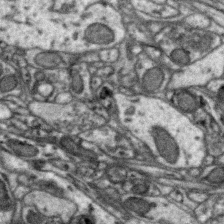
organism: Zebra finch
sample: Brain